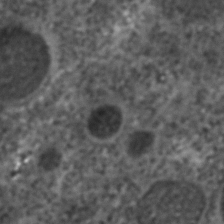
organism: C. elegans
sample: C. elegans embryo